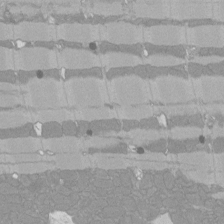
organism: Rat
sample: Left ventricle